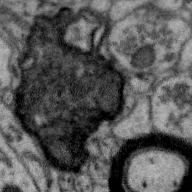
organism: Zebra finch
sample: Brain